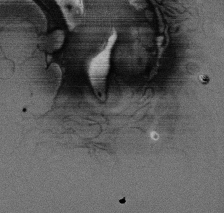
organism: Rat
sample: Salivary granule